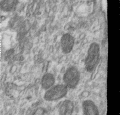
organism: Human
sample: Centriole in RPE cells